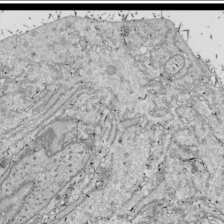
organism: Drosophila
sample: Cell division; meiosis; drosophila spermatocytes